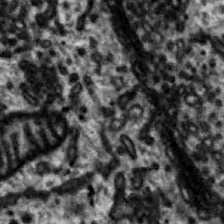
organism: Human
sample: HeLa cells